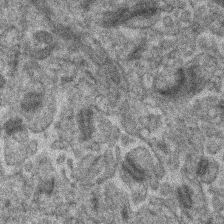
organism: Human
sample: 1205lu cells